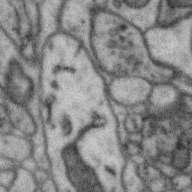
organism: Zebra finch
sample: Brain